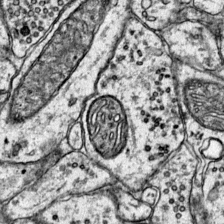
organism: Mouse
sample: Primary visual cortex